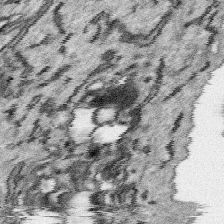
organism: Human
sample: HeLa cells